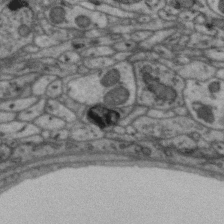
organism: Zebra finch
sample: Brain